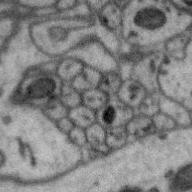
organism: Zebra finch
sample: Brain